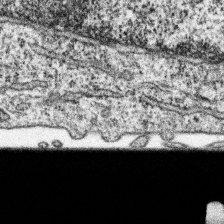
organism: Human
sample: HeLa cells